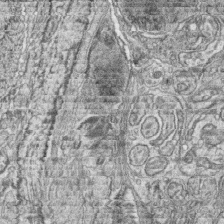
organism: Zebrafish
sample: synaptic ribbons in rod cells and cone cells